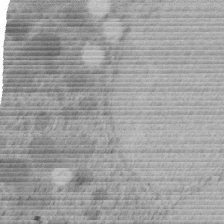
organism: C. elegans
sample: C. elegans embryo early stage